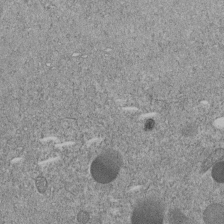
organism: C. elegans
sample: C. elegans embryo early stage